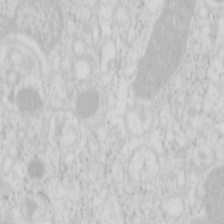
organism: Mouse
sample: Pancreas